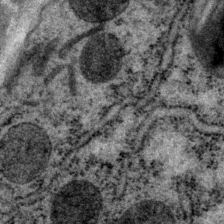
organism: P. pacificus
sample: Pharynx